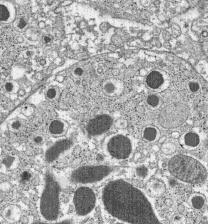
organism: C57BL Mouse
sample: Pancreatic islet